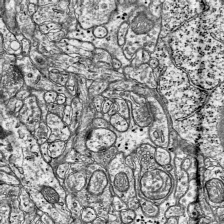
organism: Mouse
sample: Visual Cortex